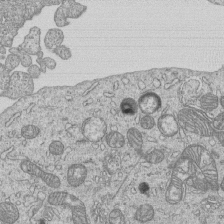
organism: Human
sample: MDA-MB-231 cells